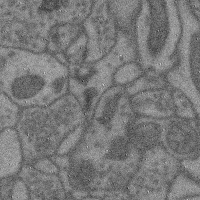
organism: Mouse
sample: Cerebral cortex